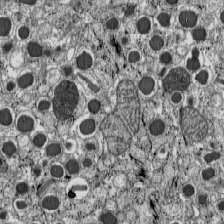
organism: C57BL Mouse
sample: Pancreatic islet